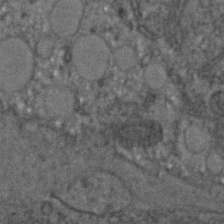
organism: C. elegans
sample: C. elegans embryo